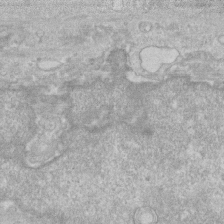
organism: Human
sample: Fibroblast cells